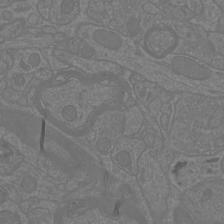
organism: Mouse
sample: Cortical neurons